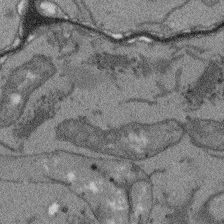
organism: Arabidopsis thaliana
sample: Root tip